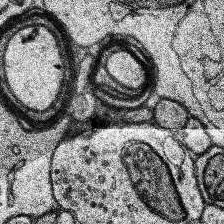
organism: Human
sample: Temporal Lobe